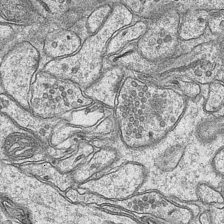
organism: Mouse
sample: CA1 Hippocampus